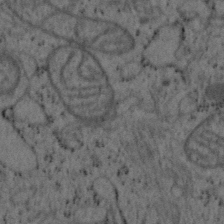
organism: Human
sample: HeLa cells